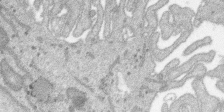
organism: Human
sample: Lung epithelial cells infected with SARS-CoV-2